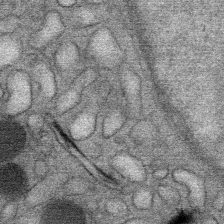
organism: Mouse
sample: Mouse Salivary gland